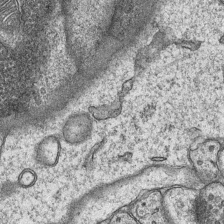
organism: Mouse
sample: CA1 Hippocampus